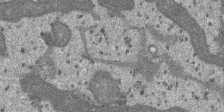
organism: Human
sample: Lung epithelial cells infected with SARS-CoV-2